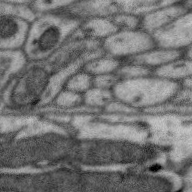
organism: Zebra finch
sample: Brain